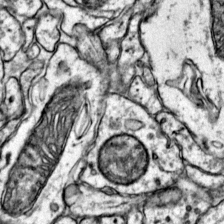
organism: Mouse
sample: Primary visual cortex